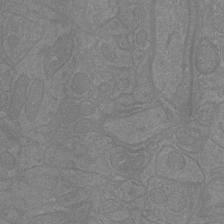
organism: Mouse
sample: Cortical neurons